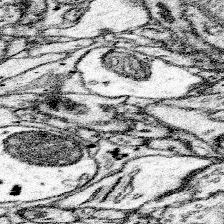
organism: Mouse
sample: Somatosensory cortex neuropil